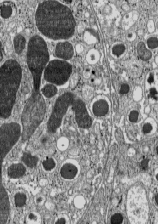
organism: C57BL Mouse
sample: Pancreatic islet